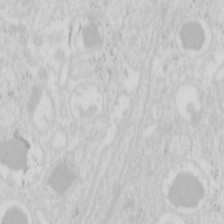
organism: Mouse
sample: Pancreas